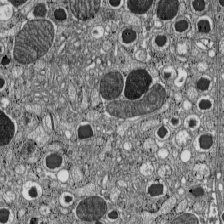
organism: C57BL Mouse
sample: Pancreatic islet